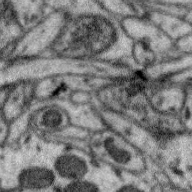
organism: Zebra finch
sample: Brain